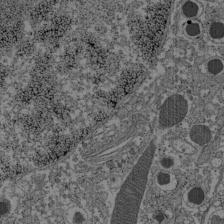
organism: C57BL Mouse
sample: Pancreatic islet